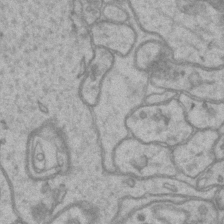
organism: Mouse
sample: CA1 Hippocampus